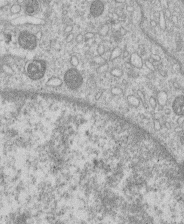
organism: Human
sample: Macrophage cells